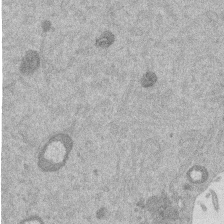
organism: Mouse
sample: Dividing mouse embryo 1 cell stage